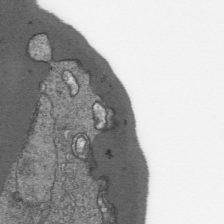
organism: Plasmodium falciparum